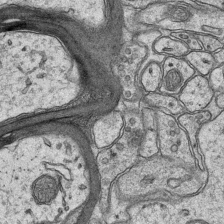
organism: Mouse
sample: CA1 Hippocampus